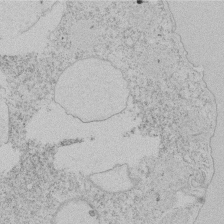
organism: Tetrahymena